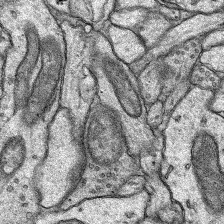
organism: Rat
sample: Hippocampus